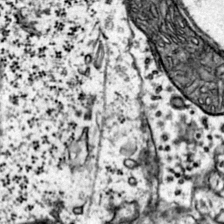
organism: Mouse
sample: Primary visual cortex